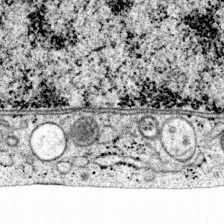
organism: Human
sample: HeLa cells